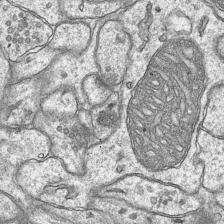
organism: Mouse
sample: CA1 Hippocampus